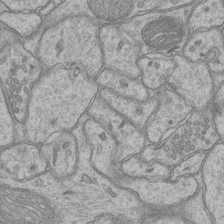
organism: Mouse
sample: CA1 Hippocampus